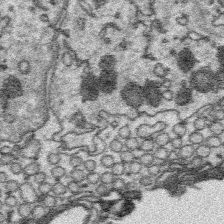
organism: Platynereis dumerilii